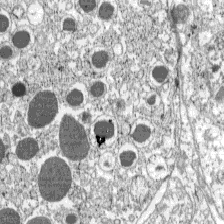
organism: C57BL Mouse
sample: Pancreatic islet